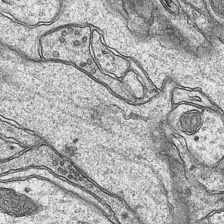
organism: Mouse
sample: CA1 Hippocampus